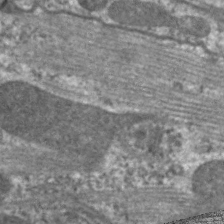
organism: C. elegans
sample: Pharynx